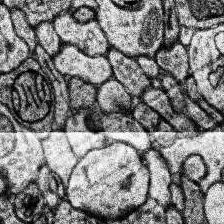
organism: Human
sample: Temporal Lobe